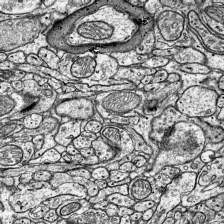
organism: Mouse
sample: Visual Cortex